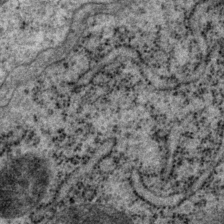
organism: P. pacificus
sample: Pharynx